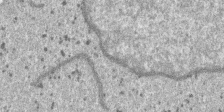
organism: Human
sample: Lung epithelial cells infected with SARS-CoV-2